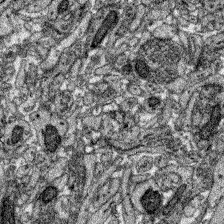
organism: Zebrafish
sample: Larval olfactory bulb